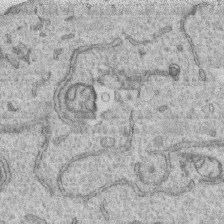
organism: Human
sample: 1205lu cells